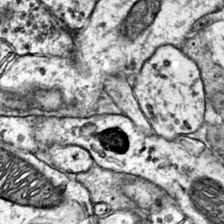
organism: Mouse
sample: Primary visual cortex